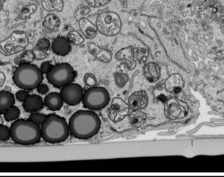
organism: Human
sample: Mitochondria in HCT116 cells